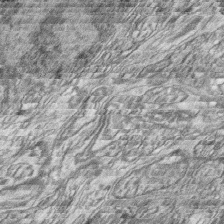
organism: Zebrafish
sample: synaptic ribbons in rod cells and cone cells